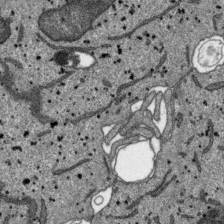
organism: Human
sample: Lung epithelial cells, uninfected (mock) control